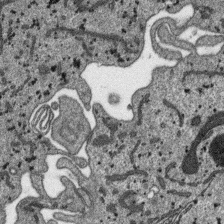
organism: Human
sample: Lung epithelial cells infected with SARS-CoV-2